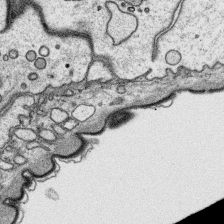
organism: Platynereis dumerilii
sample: Parapodia